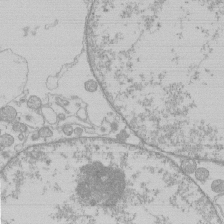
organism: Human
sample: Macrophage cells